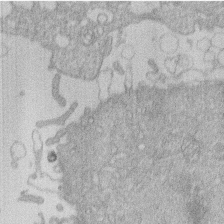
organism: Human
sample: Macrophage cells